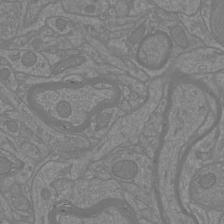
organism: Mouse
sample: Cortical neurons